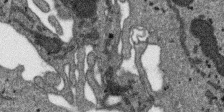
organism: Human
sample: Lung epithelial cells infected with SARS-CoV-2